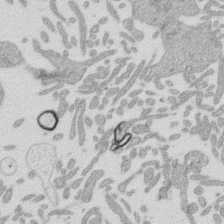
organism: Mouse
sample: Dividing mouse embryo 1 cell stage